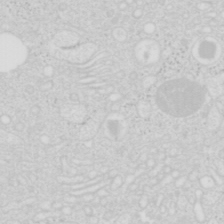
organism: Mouse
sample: Pancreas